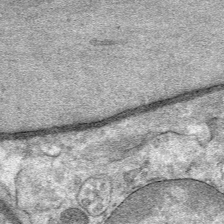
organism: Mouse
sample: Mouse Salivary gland